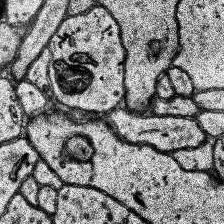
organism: Human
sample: Temporal Lobe